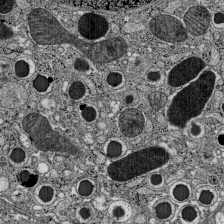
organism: C57BL Mouse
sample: Pancreatic islet